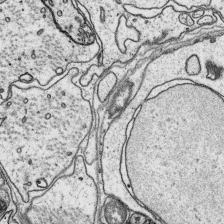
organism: Platynereis dumerilii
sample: Parapodia